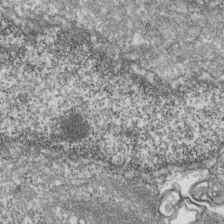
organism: Zebrafish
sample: Cilia; retinal pigment epithelium